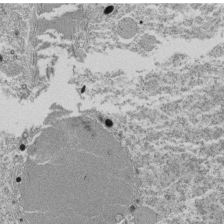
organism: Tetrahymena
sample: Cilia in tetrahymena